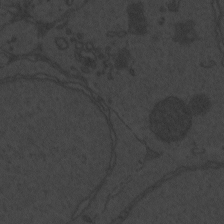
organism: Zebrafish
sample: Macrophage infected with Toxoplasma gondii